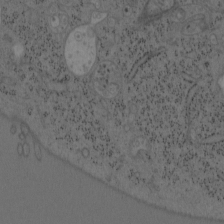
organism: Mouse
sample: OT-I killer T cells with ID8 ovarian cancer cells